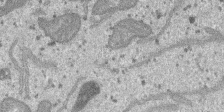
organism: Human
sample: Lung epithelial cells infected with SARS-CoV-2